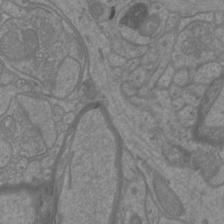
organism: Mouse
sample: Cortical neurons